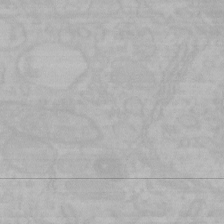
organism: Mouse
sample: Choroid plexus